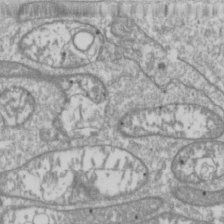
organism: Drosophila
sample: Cell division; meiosis; drosophila spermatocytes